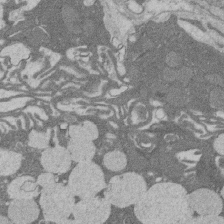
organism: Rat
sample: Salivary granule